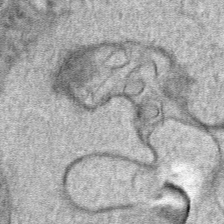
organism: Mouse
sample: Mouse hepatocytes